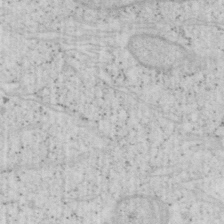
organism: Human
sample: HeLa cells